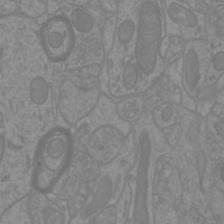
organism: Mouse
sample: Cortical neurons